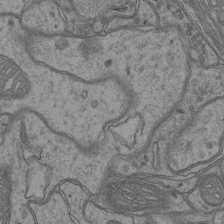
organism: Mouse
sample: CA1 Hippocampus